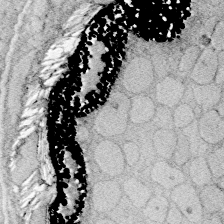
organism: Zebrafish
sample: Whole-Brain